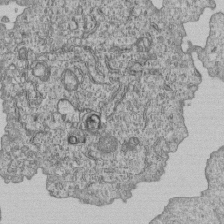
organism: Human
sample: MDA-MB-231 cells